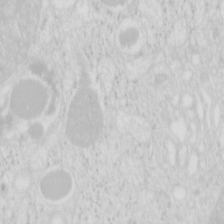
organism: Mouse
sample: Pancreas